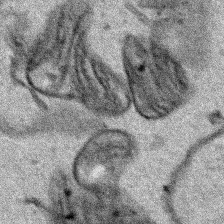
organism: Human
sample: Mitochondria in HCT116 cells